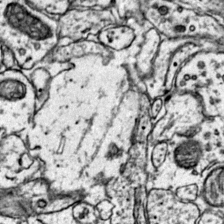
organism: Mouse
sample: Primary visual cortex